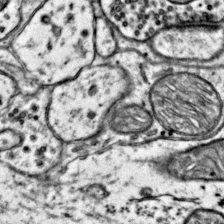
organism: Mouse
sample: Primary visual cortex